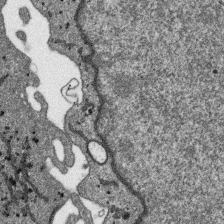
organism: Human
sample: Lung epithelial cells infected with SARS-CoV-2